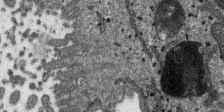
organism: Human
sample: Lung epithelial cells infected with SARS-CoV-2